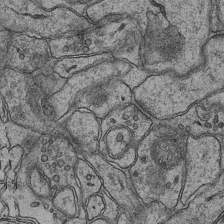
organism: Mouse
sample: CA1 Hippocampus